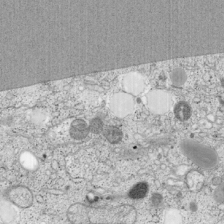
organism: African green monkey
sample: COS-7 cells